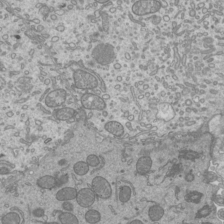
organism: Mouse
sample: Cilia; mouse epididymis